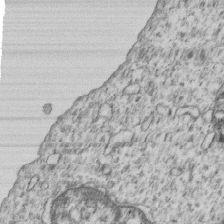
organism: Human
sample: MDA-MB-231 cells